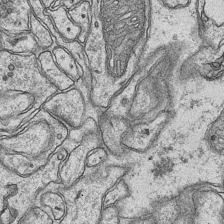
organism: Mouse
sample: CA1 Hippocampus